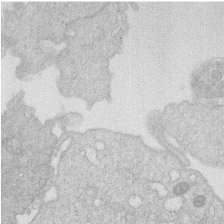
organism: Human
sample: Macrophage cells